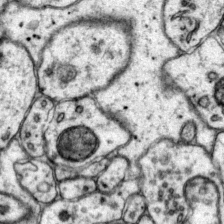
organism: Mouse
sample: Primary visual cortex